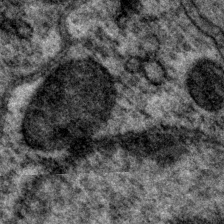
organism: P. pacificus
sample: Pharynx